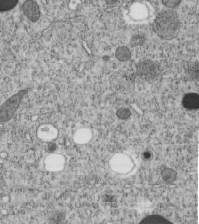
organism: C. elegans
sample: C. elegans embryo early stage